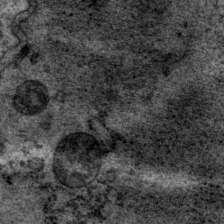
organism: P. pacificus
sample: Pharynx